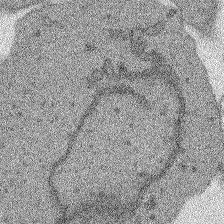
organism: Human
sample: HeLa cells